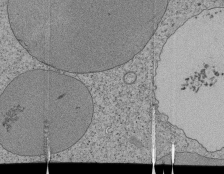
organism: Tetrahymena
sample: Cilia in tetrahymena